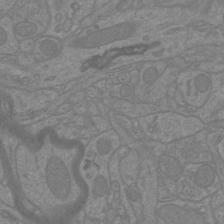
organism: Mouse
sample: Cortical neurons